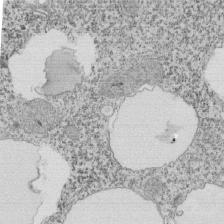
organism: Tetrahymena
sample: Cilia in tetrahymena